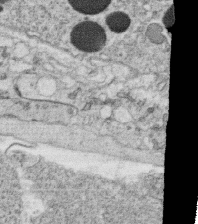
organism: C. elegans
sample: C. elegans oocyte; sperm cells